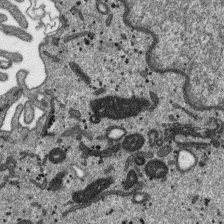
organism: Human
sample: Lung epithelial cells infected with SARS-CoV-2